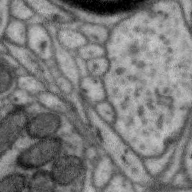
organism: Zebra finch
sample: Brain